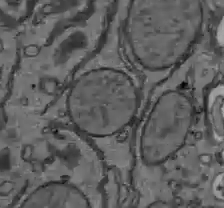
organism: C57BL Mouse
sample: Liver